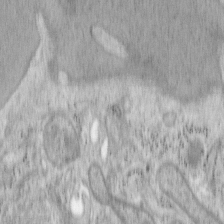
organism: Human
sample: HeLa cells